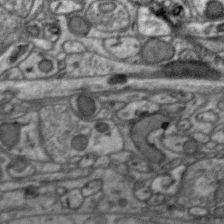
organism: Zebra finch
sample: Brain